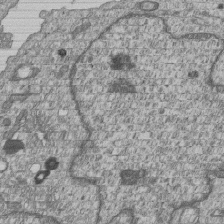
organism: Human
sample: MDA-MB-231 cells